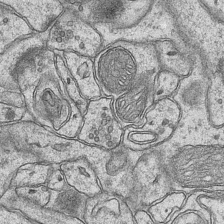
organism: Mouse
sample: CA1 Hippocampus